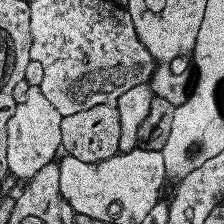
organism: Human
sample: Temporal Lobe